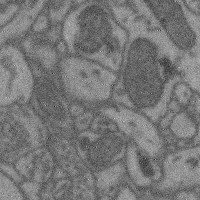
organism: Mouse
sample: Cerebral cortex